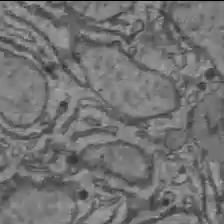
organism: C57BL Mouse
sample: Liver